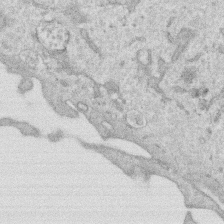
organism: Human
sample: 1205lu cells